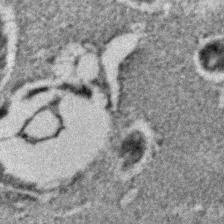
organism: C. elegans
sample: C. elegans embryo